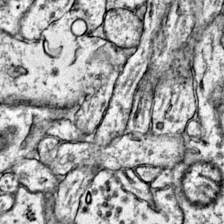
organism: Mouse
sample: Primary visual cortex